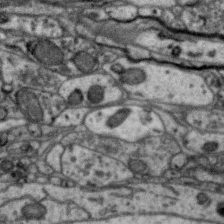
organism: Zebra finch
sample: Brain